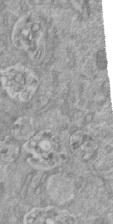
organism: Mouse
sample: ED-1 cell nuclei; centrioles